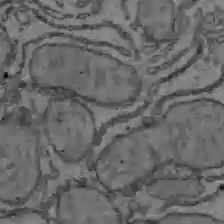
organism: C57BL Mouse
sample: Liver